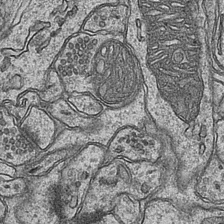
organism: Mouse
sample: CA1 Hippocampus